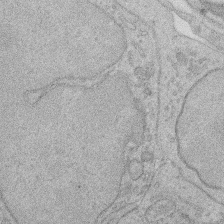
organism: Rat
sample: Salivary granule